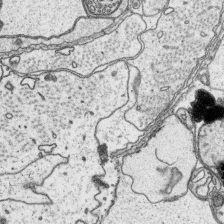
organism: Platynereis dumerilii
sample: Parapodia